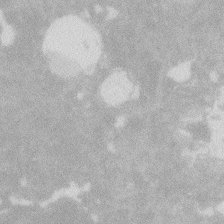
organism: Zebrafish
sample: Macrophage